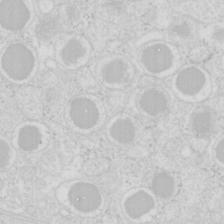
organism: Mouse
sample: Pancreas